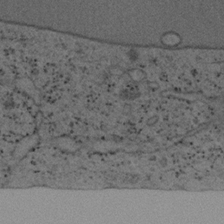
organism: Human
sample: HeLa cells